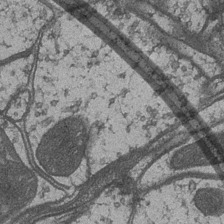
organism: Drosophila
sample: Optic medulla